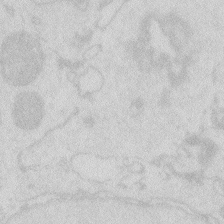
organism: Zebrafish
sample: Macrophage